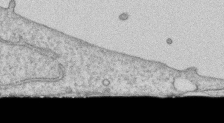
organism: Human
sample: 1205lu cells